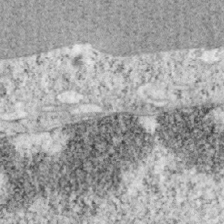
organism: Mouse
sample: OT-I killer T cells with ID8 ovarian cancer cells